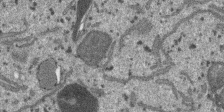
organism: Human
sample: Lung epithelial cells infected with SARS-CoV-2